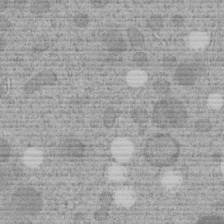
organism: C. elegans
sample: C. elegans embryo early stage